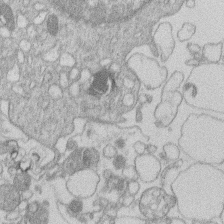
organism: Human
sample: Macrophage cells